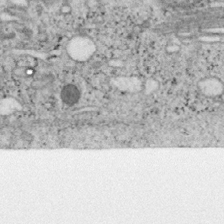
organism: Mouse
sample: OT-I killer T cells with ID8 ovarian cancer cells